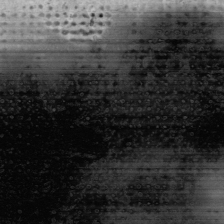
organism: Human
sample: Mitochondria in U2OS cells